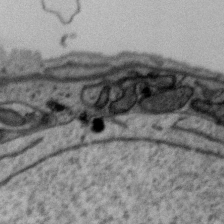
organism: Zebra finch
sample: Brain